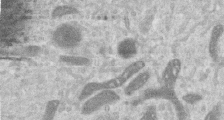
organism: Human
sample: Centriole in RPE cells